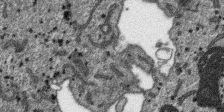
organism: Human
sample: Lung epithelial cells infected with SARS-CoV-2